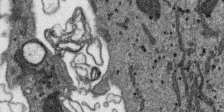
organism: Human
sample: Lung epithelial cells infected with SARS-CoV-2